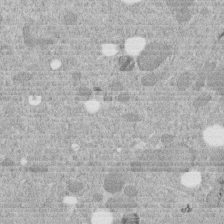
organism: C. elegans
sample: C. elegans embryo early stage